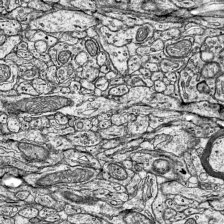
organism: Mouse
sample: Visual Cortex